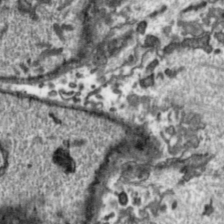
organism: Toxoplasma gondii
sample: Parasites in a vacuole inside a host cell